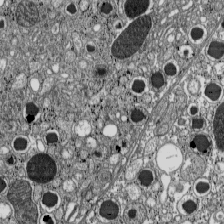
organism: C57BL Mouse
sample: Pancreatic islet